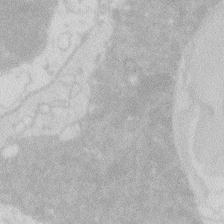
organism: Zebrafish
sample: Macrophage